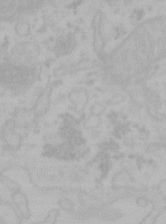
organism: Mouse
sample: Choroid plexus